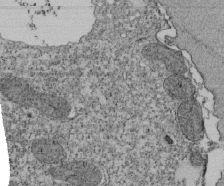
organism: Tetrahymena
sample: Cilia in tetrahymena